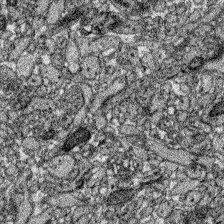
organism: Zebrafish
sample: Larval olfactory bulb